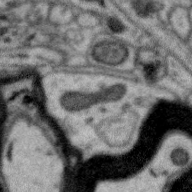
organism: Zebra finch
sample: Brain